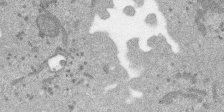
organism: Human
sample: Lung epithelial cells infected with SARS-CoV-2